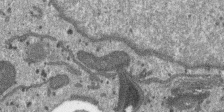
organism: Human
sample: Lung epithelial cells infected with SARS-CoV-2